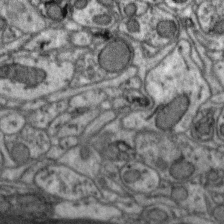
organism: Zebra finch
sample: Brain